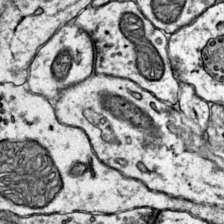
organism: Mouse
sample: Primary visual cortex